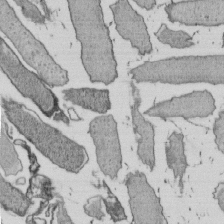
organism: E. coli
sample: Bacterial nucleoid